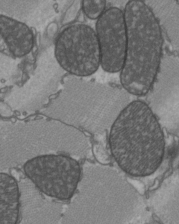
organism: C57BL Mouse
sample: Heart